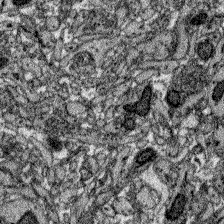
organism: Zebrafish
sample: Larval olfactory bulb